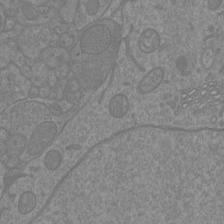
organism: Mouse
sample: Cortical neurons